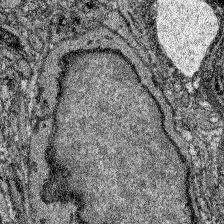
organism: Zebrafish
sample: Larval olfactory bulb